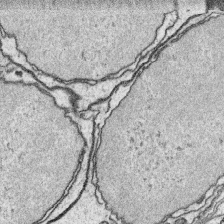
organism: Platynereis dumerilii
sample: Parapodia